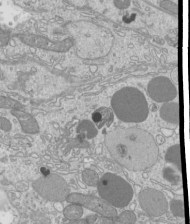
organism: Mouse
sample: Cilia; mouse epididymis